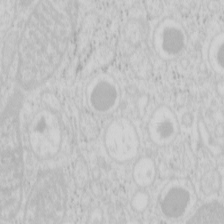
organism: Mouse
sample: Pancreas